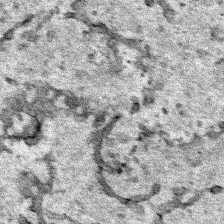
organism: Human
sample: Mitochondria in HCT116 cells